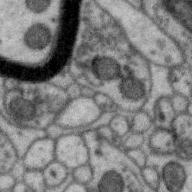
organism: Zebra finch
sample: Brain